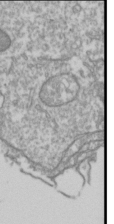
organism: Drosophila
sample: Cell division; meiosis; drosophila spermatocytes